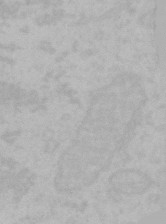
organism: Mouse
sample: Choroid plexus